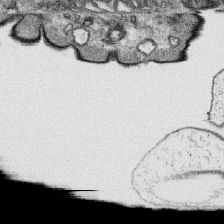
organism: Platynereis dumerilii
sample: Parapodia